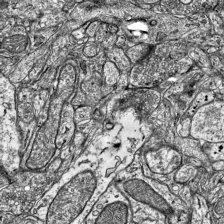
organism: Mouse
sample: Visual Cortex